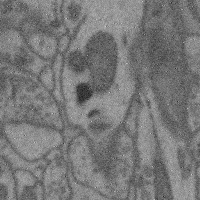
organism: Mouse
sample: Cerebral cortex